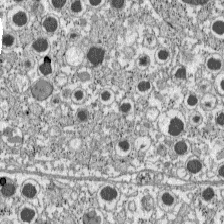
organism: C57BL Mouse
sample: Pancreatic islet